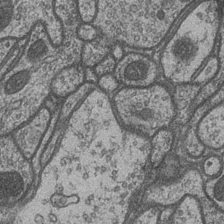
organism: Drosophila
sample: Optic medulla